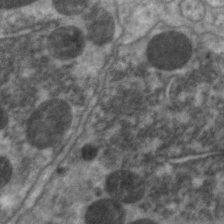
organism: C. elegans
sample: Pharynx